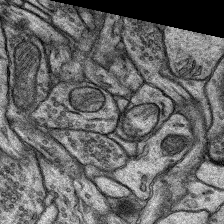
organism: Rat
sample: Hippocampus